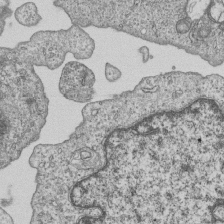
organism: Human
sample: MDA-MB-231 cells